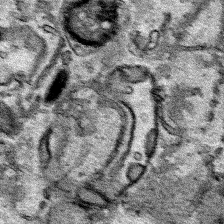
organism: Human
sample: Mitochondria in HCT116 cells